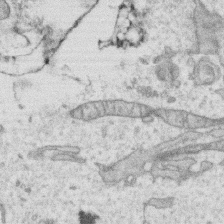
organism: Human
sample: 1205lu cells